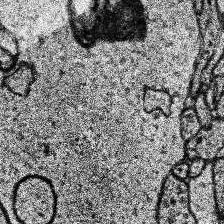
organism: Human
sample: Temporal Lobe